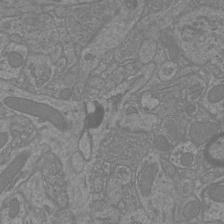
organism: Mouse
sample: Cortical neurons